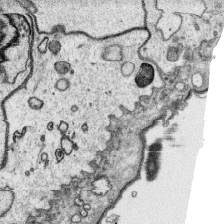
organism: Platynereis dumerilii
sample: Parapodia